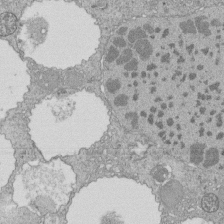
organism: Tetrahymena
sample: Cilia in tetrahymena